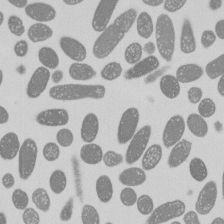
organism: E. coli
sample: Bacterial nucleoid